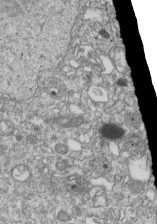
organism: Human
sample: HeLa cell HIV synapse